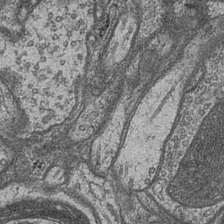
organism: Drosophila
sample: Optic medulla